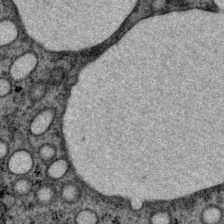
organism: P. pacificus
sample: Pharynx